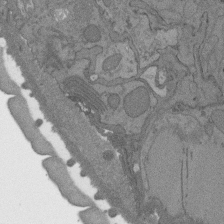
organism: C. elegans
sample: AFD neurons C. elegans